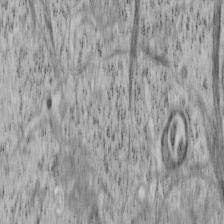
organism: Human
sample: HeLa cells